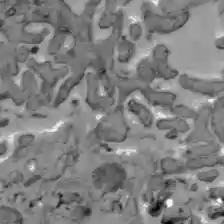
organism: C57BL Mouse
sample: Liver